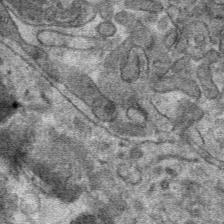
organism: Mouse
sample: Mouse hepatocytes